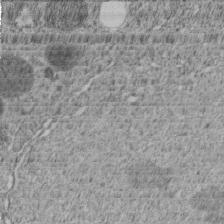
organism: C. elegans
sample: C. elegans embryo early stage